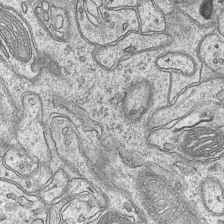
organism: Mouse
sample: CA1 Hippocampus